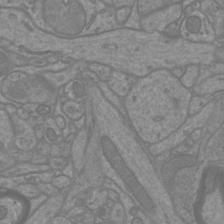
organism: Mouse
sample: Cortical neurons